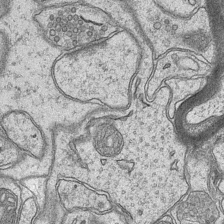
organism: Mouse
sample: CA1 Hippocampus